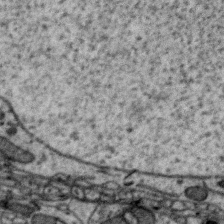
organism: Zebra finch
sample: Brain